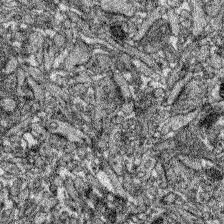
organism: Zebrafish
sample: Larval olfactory bulb